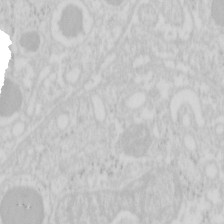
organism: Mouse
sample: Pancreas